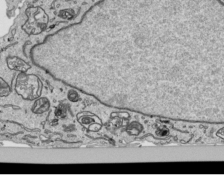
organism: Human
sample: Mitochondria in HCT116 cells